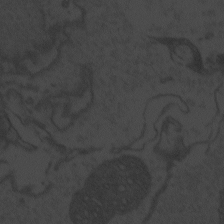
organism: Zebrafish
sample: Macrophage infected with Toxoplasma gondii